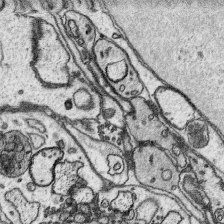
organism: Platynereis dumerilii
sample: Parapodia